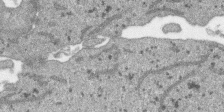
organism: Human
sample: Lung epithelial cells infected with SARS-CoV-2